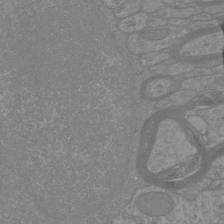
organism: Mouse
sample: Cortical neurons